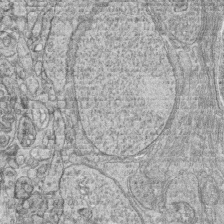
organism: Zebrafish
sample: synaptic ribbons in rod cells and cone cells